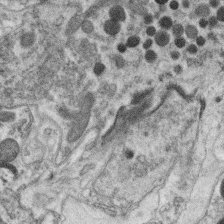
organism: C. elegans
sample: C. elegans oocyte; sperm cells